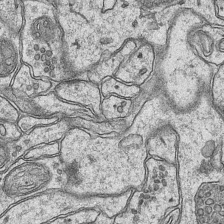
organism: Mouse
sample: CA1 Hippocampus